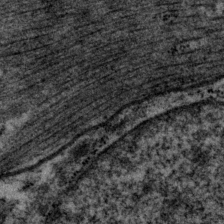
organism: P. pacificus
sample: Pharynx